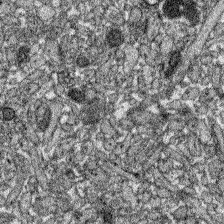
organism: Zebrafish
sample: Larval olfactory bulb